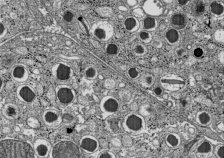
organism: C57BL Mouse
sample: Pancreatic islet